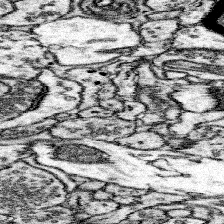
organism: Mouse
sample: Somatosensory cortex neuropil